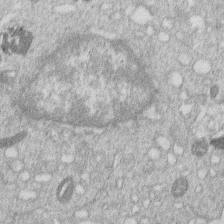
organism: Human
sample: Macrophage cells